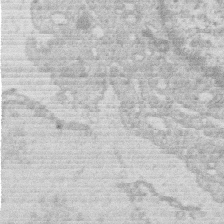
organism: Human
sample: Macrophage cells